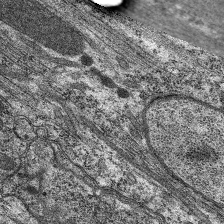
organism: C. elegans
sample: Pharynx